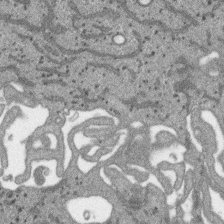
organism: Human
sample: Lung epithelial cells infected with SARS-CoV-2